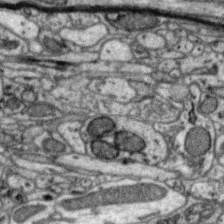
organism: Zebra finch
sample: Brain